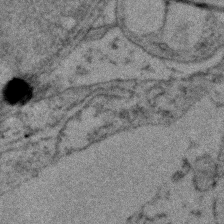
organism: Zebrafish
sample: Zebrafish embryo